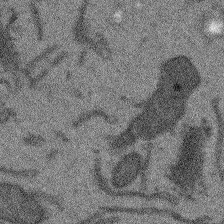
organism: Arabidopsis thaliana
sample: Root tip